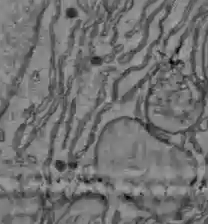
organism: C57BL Mouse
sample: Liver